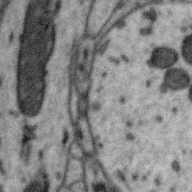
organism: Zebra finch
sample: Brain